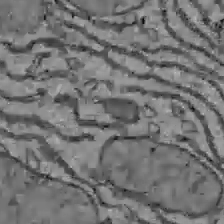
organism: C57BL Mouse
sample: Liver